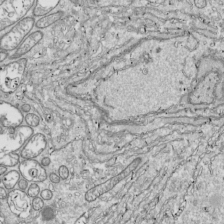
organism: Drosophila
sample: Cell division; meiosis; drosophila spermatocytes